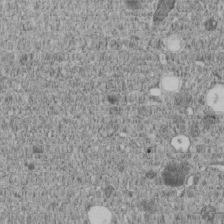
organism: C. elegans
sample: C. elegans embryo early stage